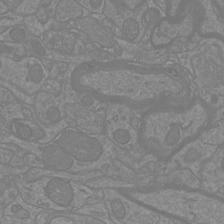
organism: Mouse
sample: Cortical neurons